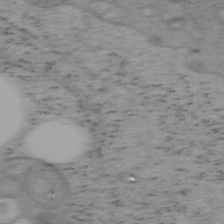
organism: Mouse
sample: OT-I killer T cells with ID8 ovarian cancer cells